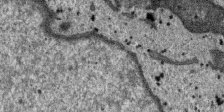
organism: Human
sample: Lung epithelial cells, uninfected (mock) control